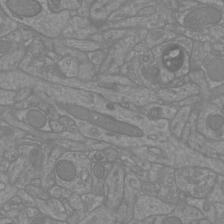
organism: Mouse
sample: Cortical neurons